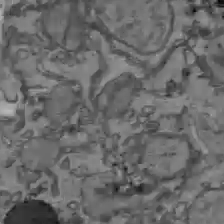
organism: C57BL Mouse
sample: Liver